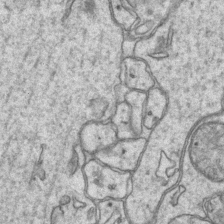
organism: Mouse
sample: CA1 Hippocampus